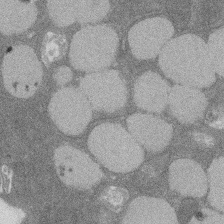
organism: Rat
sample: Salivary granule